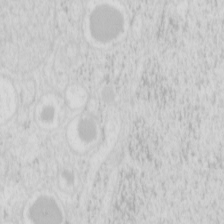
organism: Mouse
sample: Pancreas